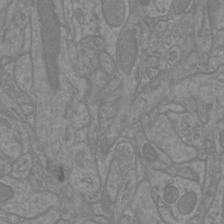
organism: Mouse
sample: Cortical neurons